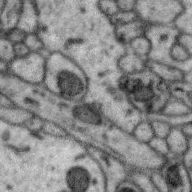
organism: Zebra finch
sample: Brain